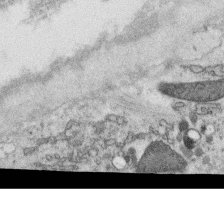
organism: C. elegans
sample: C. elegans oocyte; sperm cells